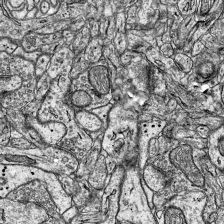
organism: Mouse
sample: Visual Cortex